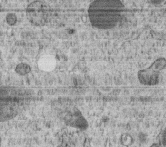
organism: C. elegans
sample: C. elegans embryo early stage